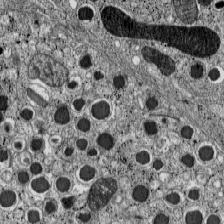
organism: C57BL Mouse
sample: Pancreatic islet